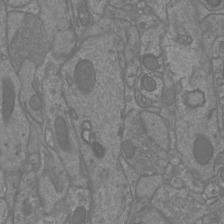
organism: Mouse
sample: Cortical neurons